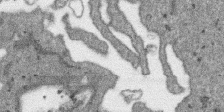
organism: Human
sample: Lung epithelial cells infected with SARS-CoV-2